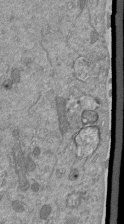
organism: Mouse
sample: ED-1 cell nuclei; centrioles